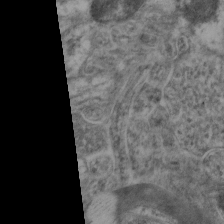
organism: Mouse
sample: Neocortex